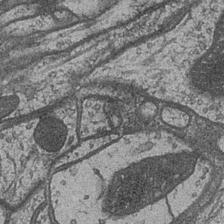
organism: Drosophila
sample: Optic medulla